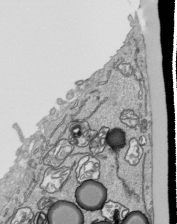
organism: Human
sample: Mitochondria in HCT116 cells